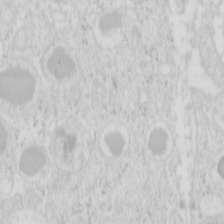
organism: Mouse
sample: Pancreas